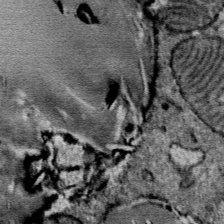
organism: Mouse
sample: Mouse Salivary gland